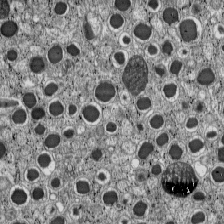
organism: C57BL Mouse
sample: Pancreatic islet